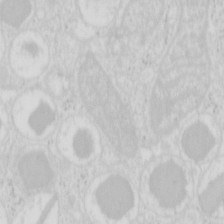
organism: Mouse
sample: Pancreas